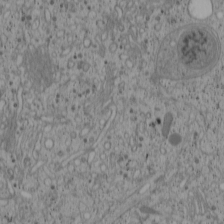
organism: African green monkey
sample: COS-7 cells